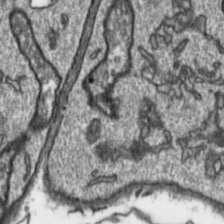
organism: Toxoplasma gondii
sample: Parasites in a vacuole inside a host cell